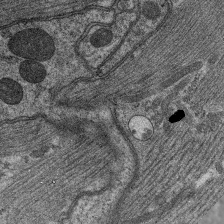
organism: C. elegans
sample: Pharynx